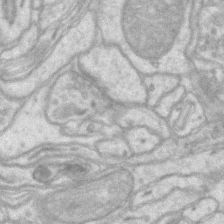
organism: Mouse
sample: CA1 Hippocampus